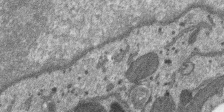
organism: Human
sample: Lung epithelial cells infected with SARS-CoV-2